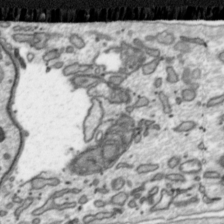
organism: Toxoplasma gondii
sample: Parasites in a vacuole inside a host cell